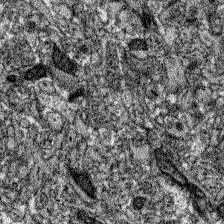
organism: Zebrafish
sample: Larval olfactory bulb